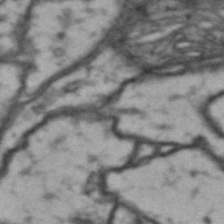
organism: Drosophila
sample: Brain